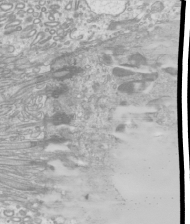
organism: Mouse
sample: Cilia; mouse epididymis